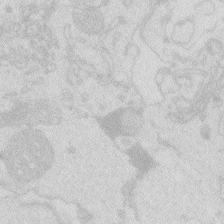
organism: Zebrafish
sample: Macrophage